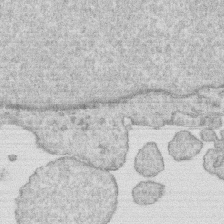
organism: Human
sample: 1205lu cells